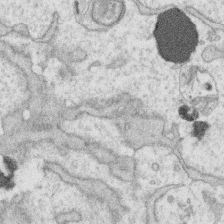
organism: Human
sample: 1205lu cells